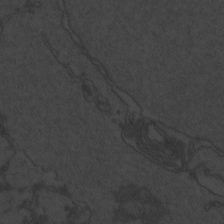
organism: Zebrafish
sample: Macrophage infected with Toxoplasma gondii